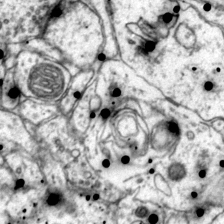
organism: Mouse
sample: Primary visual cortex